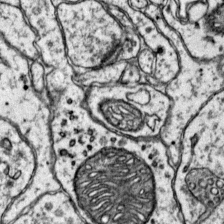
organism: Mouse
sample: Primary visual cortex